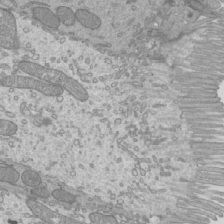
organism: Mouse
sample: Cilia; mouse epididymis